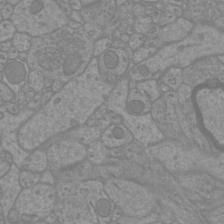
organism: Mouse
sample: Cortical neurons